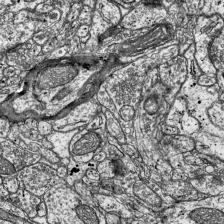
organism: Mouse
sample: Visual Cortex